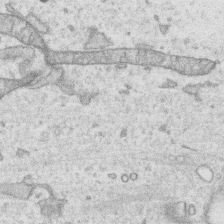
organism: Human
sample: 1205lu cells